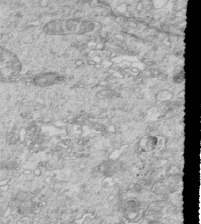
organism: Mouse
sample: Multiciliated cells